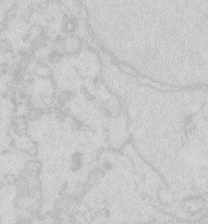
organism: Zebrafish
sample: Macrophage